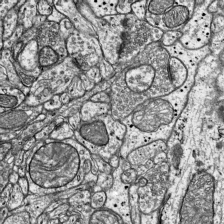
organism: Mouse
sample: Visual Cortex